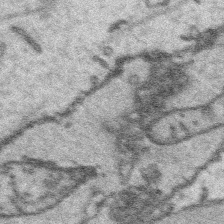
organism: Platynereis dumerilii